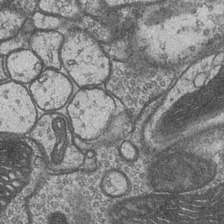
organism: Drosophila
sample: Optic medulla